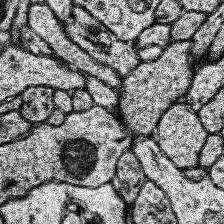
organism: Human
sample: Temporal Lobe